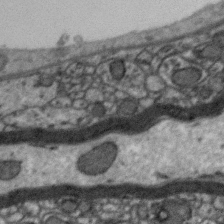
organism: Zebra finch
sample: Brain